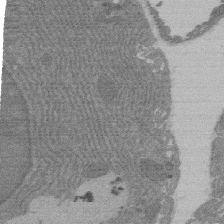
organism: Rat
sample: Salivary granule